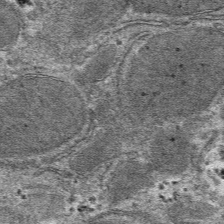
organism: Mouse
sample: Mouse hepatocytes